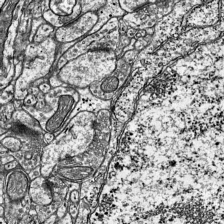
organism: Mouse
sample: Visual Cortex